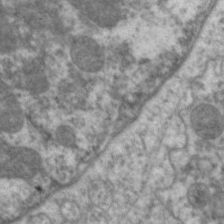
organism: C. elegans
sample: Pharynx